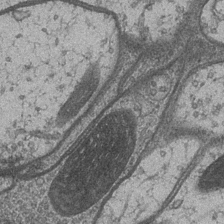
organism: Drosophila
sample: Optic medulla